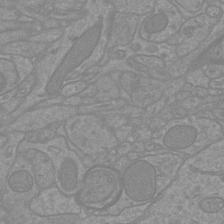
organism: Mouse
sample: Cortical neurons